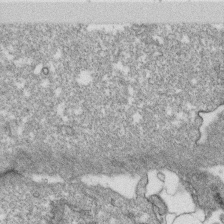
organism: African green monkey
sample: Vero E6 cells infected with SARS-CoV-2